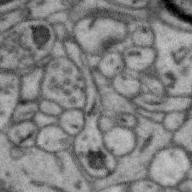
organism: Zebra finch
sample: Brain